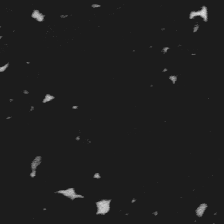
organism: Platynereis dumerilii